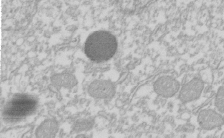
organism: Xenopus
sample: Cilia; centrioles in frog embryo cells